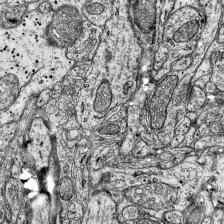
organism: Mouse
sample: Visual Cortex